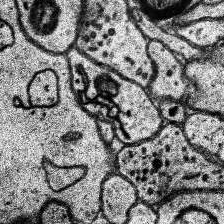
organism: Human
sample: Temporal Lobe